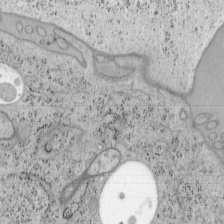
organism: Mouse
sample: OT-I killer T cells with ID8 ovarian cancer cells